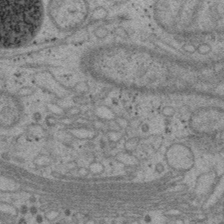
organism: Human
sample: HeLa cells